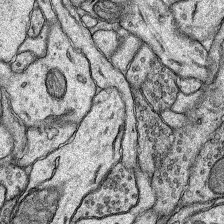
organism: Rat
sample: Hippocampus